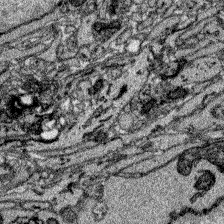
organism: Zebrafish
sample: Larval olfactory bulb